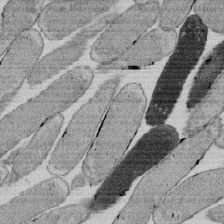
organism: E. coli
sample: Bacterial nucleoid